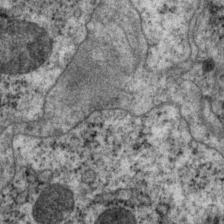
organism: P. pacificus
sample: Pharynx